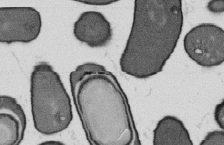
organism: B. subtilis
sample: Bacterial spore